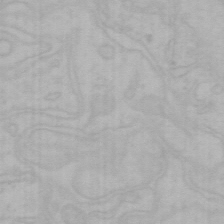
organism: Mouse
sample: Choroid plexus